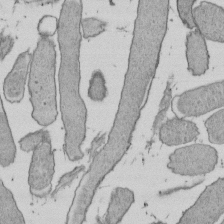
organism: E. coli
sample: Bacterial nucleoid